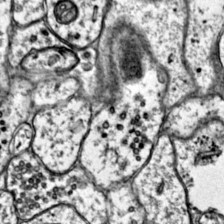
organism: Mouse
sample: Primary visual cortex